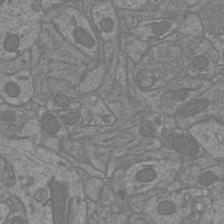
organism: Mouse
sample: Cortical neurons